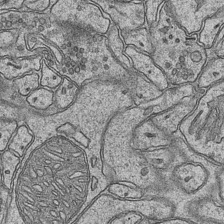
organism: Mouse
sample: CA1 Hippocampus